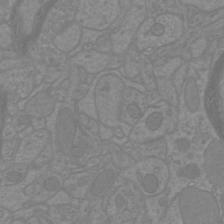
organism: Mouse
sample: Cortical neurons